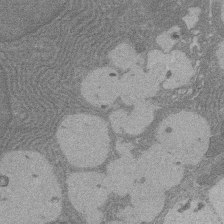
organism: Rat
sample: Salivary granule